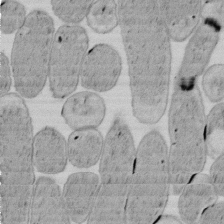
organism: E. coli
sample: Bacterial nucleoid